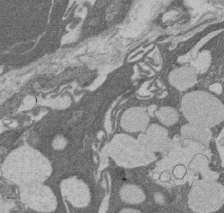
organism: Rat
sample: Salivary granule